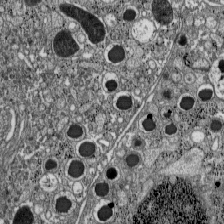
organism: C57BL Mouse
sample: Pancreatic islet